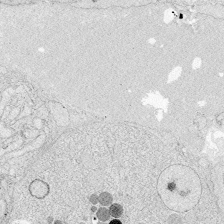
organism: Zebrafish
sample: Whole-Brain